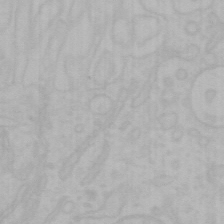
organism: Mouse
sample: Choroid plexus